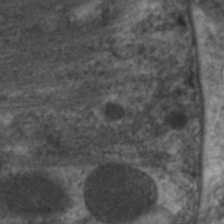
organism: C. elegans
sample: Pharynx